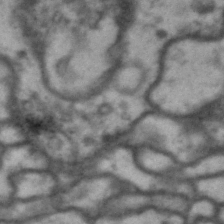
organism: Drosophila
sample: Brain